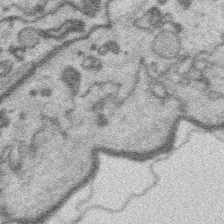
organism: Platynereis dumerilii